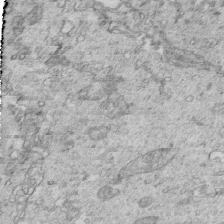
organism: Mouse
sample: Multiciliated cells